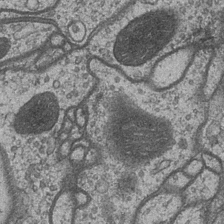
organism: Drosophila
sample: Optic medulla